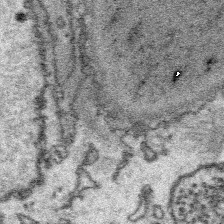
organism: Platynereis dumerilii